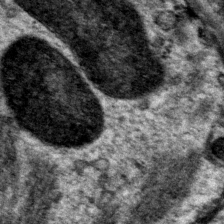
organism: P. pacificus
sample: Pharynx